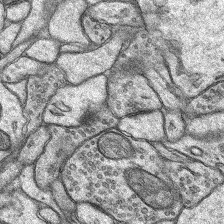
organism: Rat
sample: Hippocampus